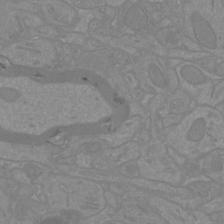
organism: Mouse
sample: Cortical neurons